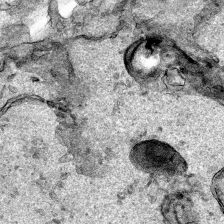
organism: Human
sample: Mitochondria in HCT116 cells